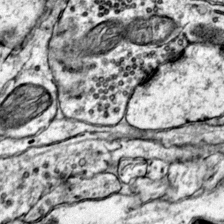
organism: Mouse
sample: Primary visual cortex